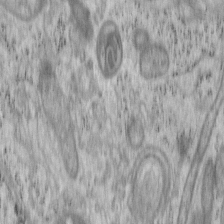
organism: Human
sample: HeLa cells